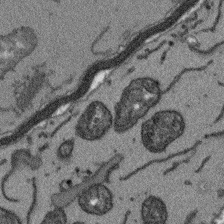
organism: Arabidopsis thaliana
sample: Root tip